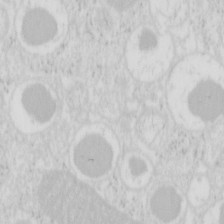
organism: Mouse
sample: Pancreas